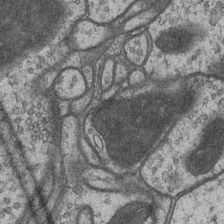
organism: Drosophila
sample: Optic medulla